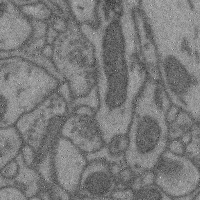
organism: Mouse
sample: Cerebral cortex